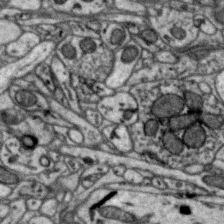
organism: Zebra finch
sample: Brain